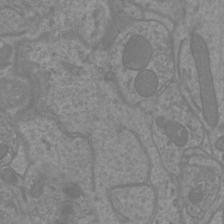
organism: Mouse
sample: Cortical neurons